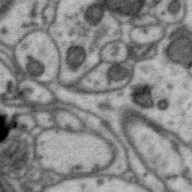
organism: Zebra finch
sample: Brain